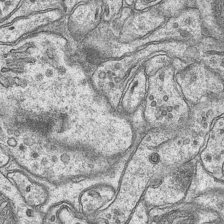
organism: Mouse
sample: CA1 Hippocampus